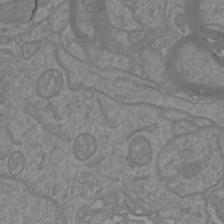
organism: Mouse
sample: Cortical neurons